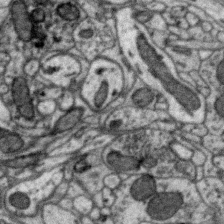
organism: Zebra finch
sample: Brain